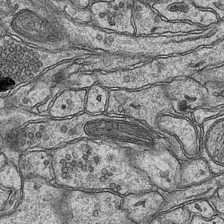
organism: Mouse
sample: CA1 Hippocampus